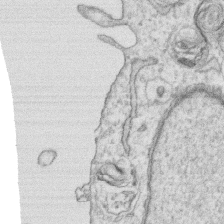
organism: Human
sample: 1205lu cells